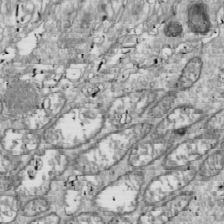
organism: Drosophila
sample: Cell division; meiosis; drosophila spermatocytes